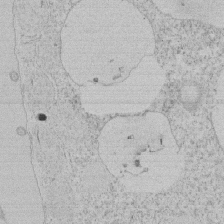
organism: Tetrahymena